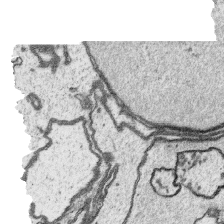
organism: Platynereis dumerilii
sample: Parapodia